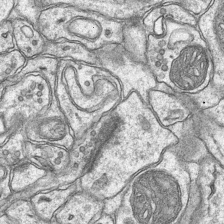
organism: Mouse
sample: CA1 Hippocampus